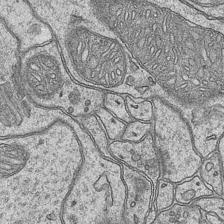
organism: Mouse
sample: CA1 Hippocampus